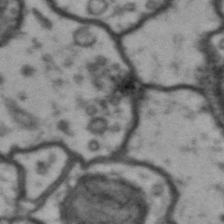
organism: Drosophila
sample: Brain